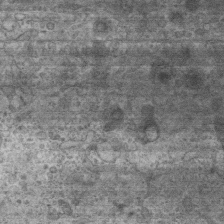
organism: Mouse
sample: Centriole in ependymal cells